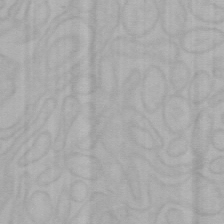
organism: Mouse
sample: Choroid plexus